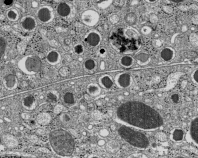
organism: C57BL Mouse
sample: Pancreatic islet